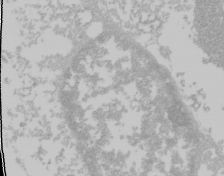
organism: Mouse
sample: Cancer cell death in ED-1 cells